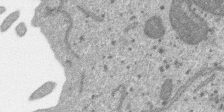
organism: Human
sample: Lung epithelial cells infected with SARS-CoV-2